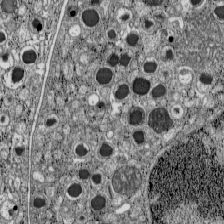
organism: C57BL Mouse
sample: Pancreatic islet